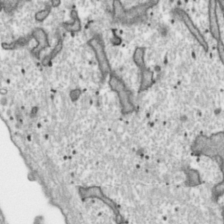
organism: Toxoplasma gondii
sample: Parasites in a vacuole inside a host cell